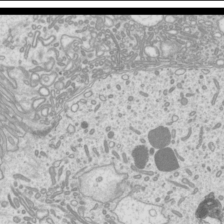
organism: Mouse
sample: Cilia; mouse epididymis